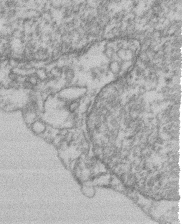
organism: Mouse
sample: T cell stromal cell synapse